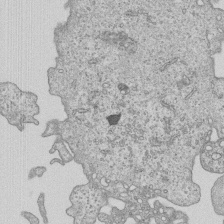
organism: Human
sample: MDA-MB-231 cells